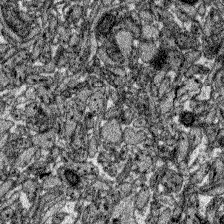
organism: Zebrafish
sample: Larval olfactory bulb